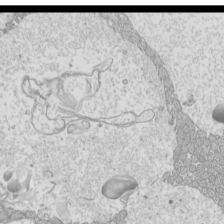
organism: Mouse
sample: Cilia; mouse epididymis